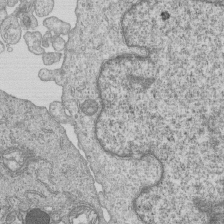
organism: Human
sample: MDA-MB-231 cells